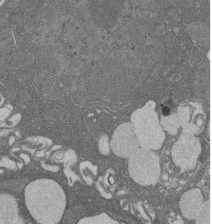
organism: Rat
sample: Salivary granule